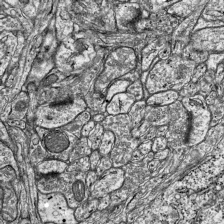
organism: Mouse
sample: Visual Cortex